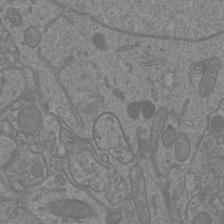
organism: Mouse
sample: Cortical neurons